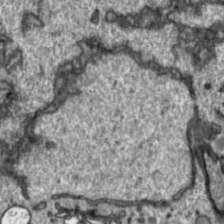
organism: Toxoplasma gondii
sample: Parasites in a vacuole inside a host cell